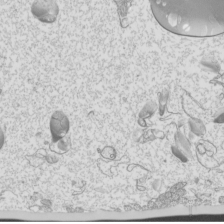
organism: Mouse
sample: Cilia; mouse epididymis